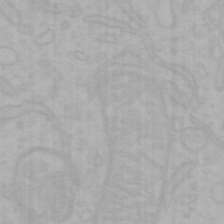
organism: Mouse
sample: Choroid plexus